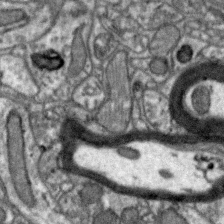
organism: Zebra finch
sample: Brain